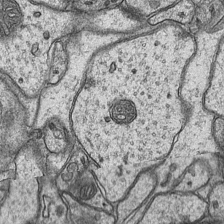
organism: Mouse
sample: CA1 Hippocampus